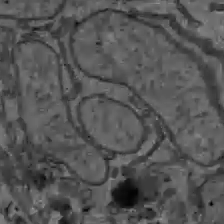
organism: C57BL Mouse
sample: Liver